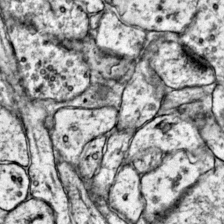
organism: Mouse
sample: Primary visual cortex